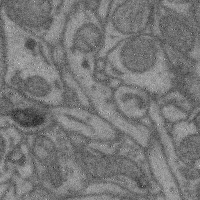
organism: Mouse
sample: Cerebral cortex